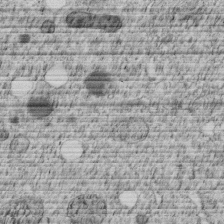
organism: C. elegans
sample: C. elegans embryo early stage